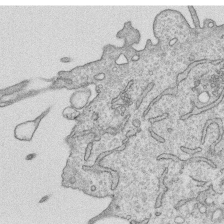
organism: Human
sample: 1205lu cells